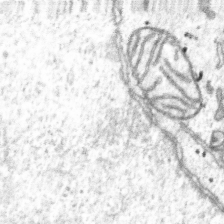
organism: Human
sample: HeLa cells